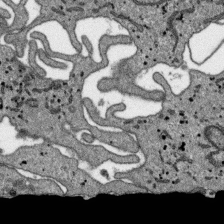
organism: Human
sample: Lung epithelial cells, uninfected (mock) control